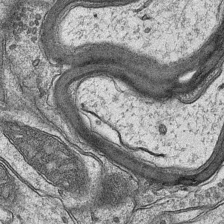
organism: Mouse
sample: CA1 Hippocampus